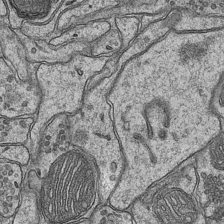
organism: Mouse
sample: CA1 Hippocampus